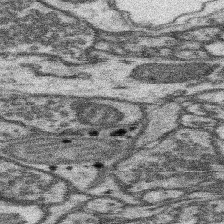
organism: Mouse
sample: Somatosensory cortex neuropil